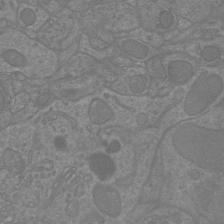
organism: Mouse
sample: Cortical neurons